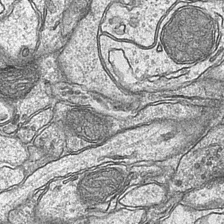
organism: Mouse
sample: CA1 Hippocampus